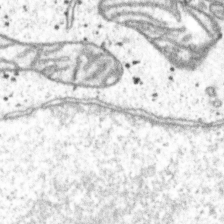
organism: Human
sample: HeLa cells